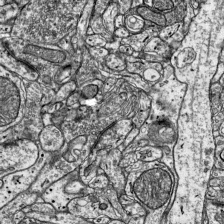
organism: Mouse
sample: Visual Cortex